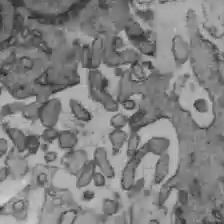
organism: C57BL Mouse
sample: Liver